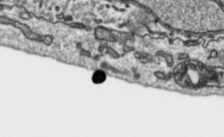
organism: Toxoplasma gondii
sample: Parasites in a vacuole inside a host cell